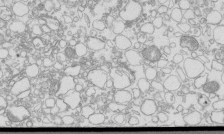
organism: Mouse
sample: Macrophages